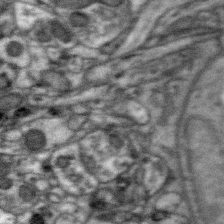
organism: Zebra finch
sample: Brain